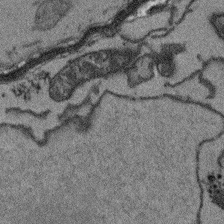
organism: Arabidopsis thaliana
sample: Root tip